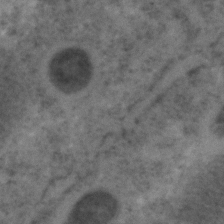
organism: C. elegans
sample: C. elegans embryo